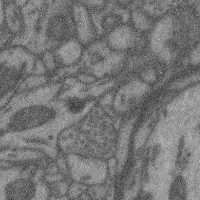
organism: Mouse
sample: Cerebral cortex